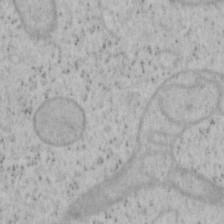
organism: Human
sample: HeLa cells